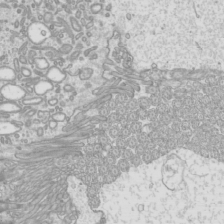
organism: Mouse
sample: Cilia; mouse epididymis